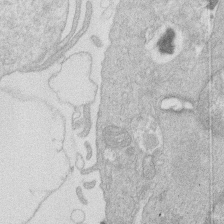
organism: Human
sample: Macrophage cells